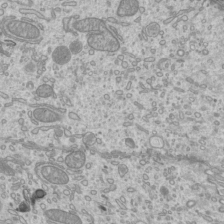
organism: Mouse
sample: Cilia; mouse epididymis